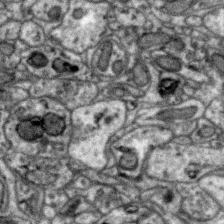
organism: Zebra finch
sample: Brain